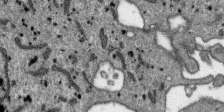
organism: Human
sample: Lung epithelial cells, uninfected (mock) control